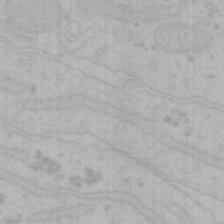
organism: Mouse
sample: Choroid plexus